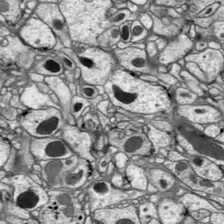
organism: Drosophila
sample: Optic lobe